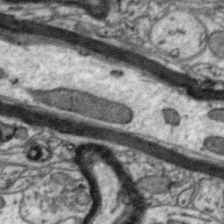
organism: Zebra finch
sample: Brain